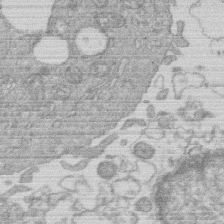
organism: Human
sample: Macrophage cells